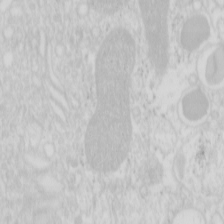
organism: Mouse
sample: Pancreas